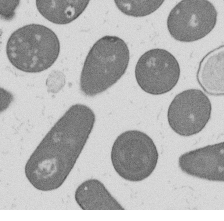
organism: B. subtilis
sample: Bacterial spore